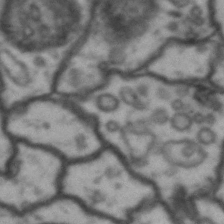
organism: Drosophila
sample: Brain